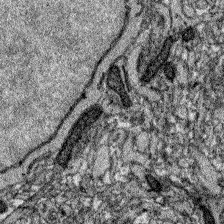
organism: Zebrafish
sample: Larval olfactory bulb